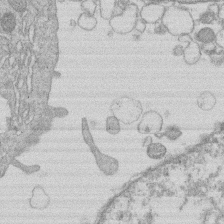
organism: Human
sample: Macrophage cells